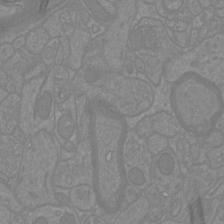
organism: Mouse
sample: Cortical neurons